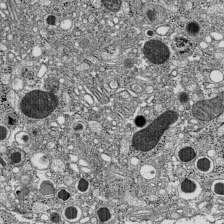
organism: C57BL Mouse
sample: Pancreatic islet